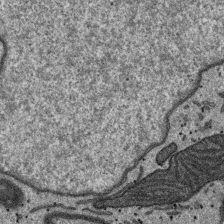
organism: Human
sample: Lung epithelial cells, uninfected (mock) control